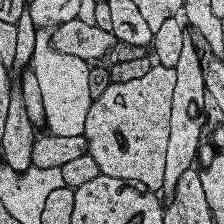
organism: Human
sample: Temporal Lobe